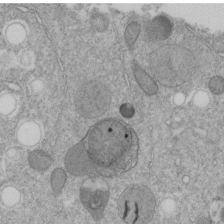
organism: C. elegans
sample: C. elegans embryo early stage